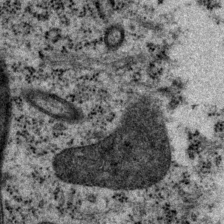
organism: P. pacificus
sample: Pharynx